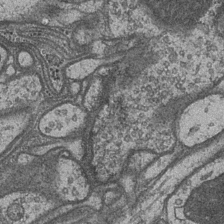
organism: Drosophila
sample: Optic medulla